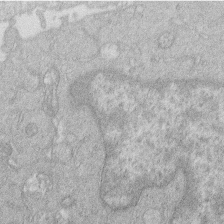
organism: Human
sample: Macrophage cells